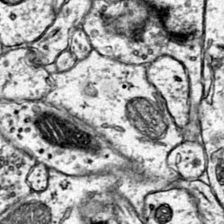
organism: Mouse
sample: Primary visual cortex